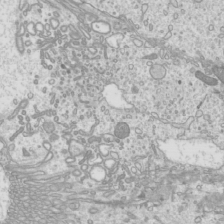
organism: Mouse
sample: Cilia; mouse epididymis